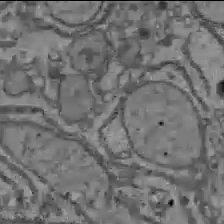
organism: C57BL Mouse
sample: Liver